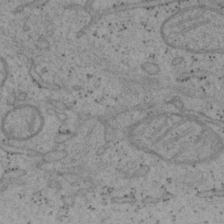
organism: Human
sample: HeLa cells